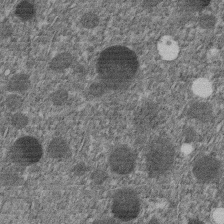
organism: C. elegans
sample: C. elegans embryo early stage